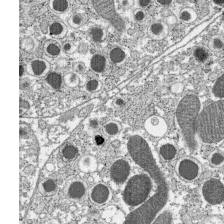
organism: C57BL Mouse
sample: Pancreatic islet